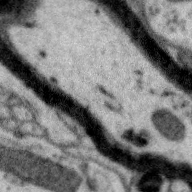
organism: Zebra finch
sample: Brain